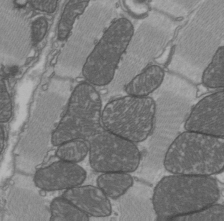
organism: C57BL Mouse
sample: Heart